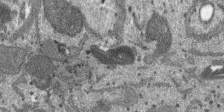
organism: Human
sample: Lung epithelial cells infected with SARS-CoV-2